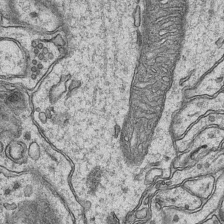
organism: Mouse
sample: CA1 Hippocampus